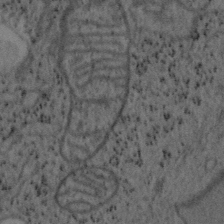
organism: Human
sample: HeLa cells